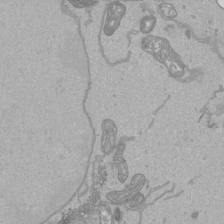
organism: Human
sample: Mitochondria in HCT116 cells